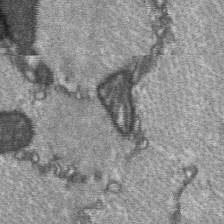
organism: C57BL Mouse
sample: Soleus